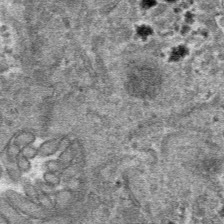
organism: Mouse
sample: Mouse hepatocytes